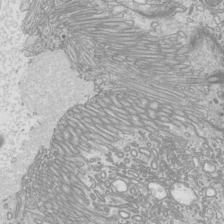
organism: Mouse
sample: Cilia; mouse epididymis